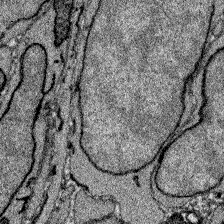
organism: Zebrafish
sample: Larval olfactory bulb